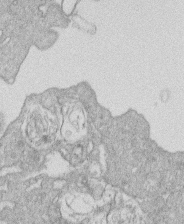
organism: Human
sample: Macrophage cells